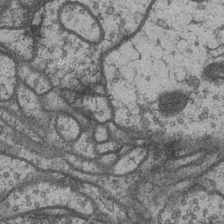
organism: Drosophila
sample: Optic medulla